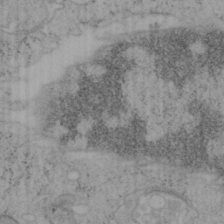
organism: Mouse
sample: OT-I killer T cells with ID8 ovarian cancer cells